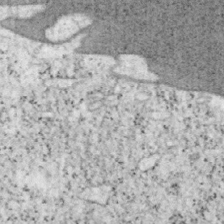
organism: Mouse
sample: OT-I killer T cells with ID8 ovarian cancer cells